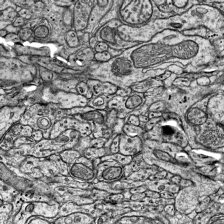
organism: Mouse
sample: Visual Cortex